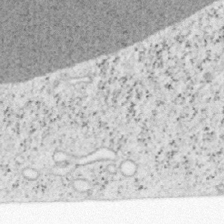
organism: Mouse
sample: OT-I killer T cells with ID8 ovarian cancer cells